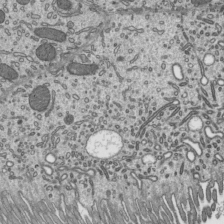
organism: Mouse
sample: Mouse epididymis efferent ductule cilia